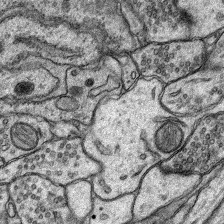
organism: Rat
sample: Hippocampus